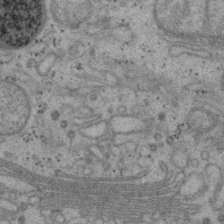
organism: Human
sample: HeLa cells